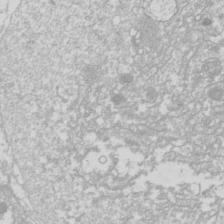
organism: Drosophila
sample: Cell division; meiosis; drosophila spermatocytes